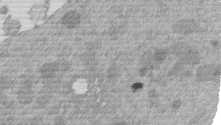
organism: Mouse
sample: Dividing mouse embryo 1 cell stage